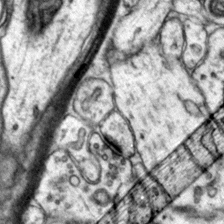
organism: Mouse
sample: Primary visual cortex